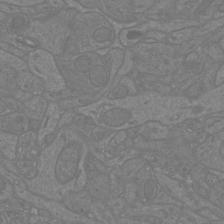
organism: Mouse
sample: Cortical neurons